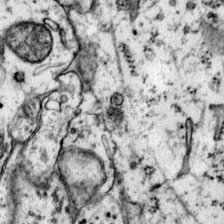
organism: Mouse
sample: Primary visual cortex